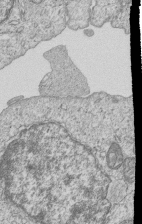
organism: Human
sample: MDA-MB-231 cells